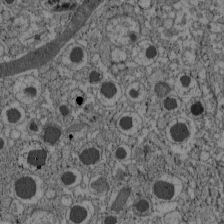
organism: C57BL Mouse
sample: Pancreatic islet